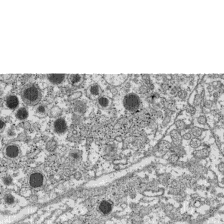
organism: C57BL Mouse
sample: Pancreatic islet